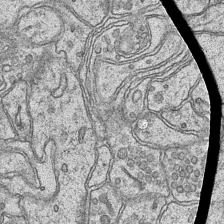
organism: Mouse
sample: CA1 Hippocampus